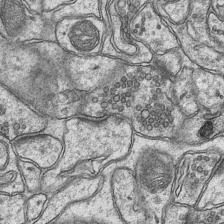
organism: Mouse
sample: CA1 Hippocampus